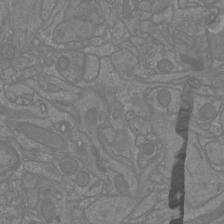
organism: Mouse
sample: Cortical neurons